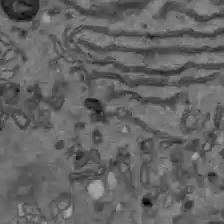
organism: C57BL Mouse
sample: Liver